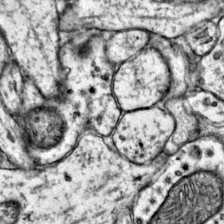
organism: Mouse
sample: Primary visual cortex